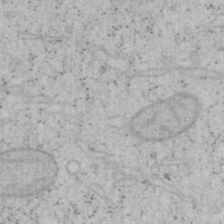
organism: Human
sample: HeLa cells